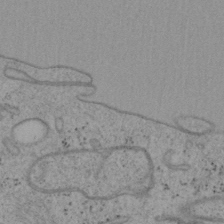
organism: Human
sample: HeLa cells